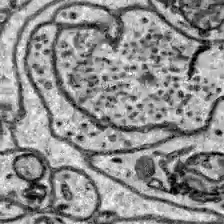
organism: Zebrafish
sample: Brain